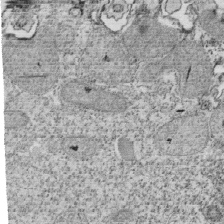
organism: Tetrahymena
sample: Cilia in tetrahymena